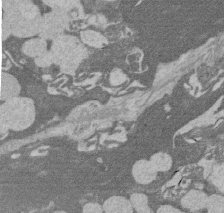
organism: Rat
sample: Salivary granule